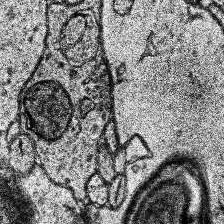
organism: Human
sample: Temporal Lobe